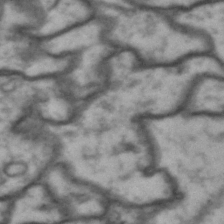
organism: Drosophila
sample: Brain